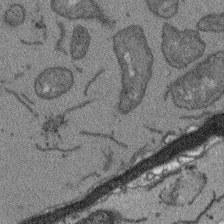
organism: Arabidopsis thaliana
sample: Root tip